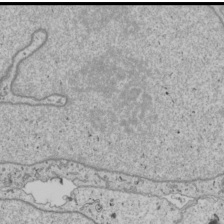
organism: Human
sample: Mitochondria in U2OS cells